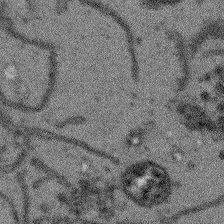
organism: Arabidopsis thaliana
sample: Root tip